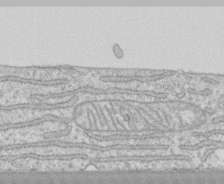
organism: Human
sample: CRL-1474